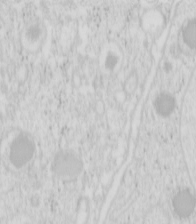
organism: Mouse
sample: Pancreas